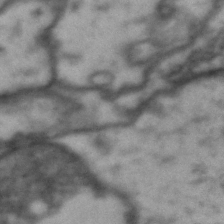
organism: Drosophila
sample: Brain